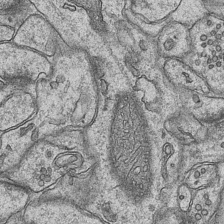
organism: Mouse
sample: CA1 Hippocampus